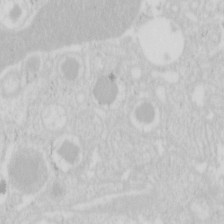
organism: Mouse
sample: Pancreas